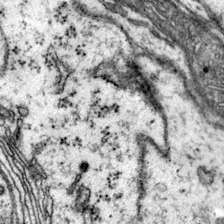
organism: Mouse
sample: Primary visual cortex